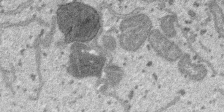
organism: Human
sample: Lung epithelial cells infected with SARS-CoV-2